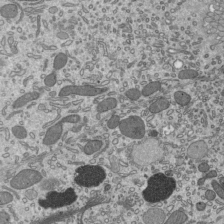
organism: Mouse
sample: Mouse epididymis efferent ductule cilia